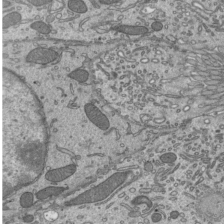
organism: Mouse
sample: Mouse epididymis efferent ductule cilia